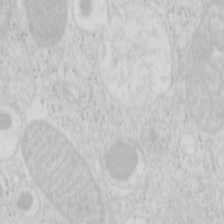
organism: Mouse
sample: Pancreas